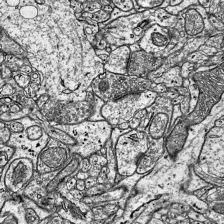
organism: Mouse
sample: Visual Cortex